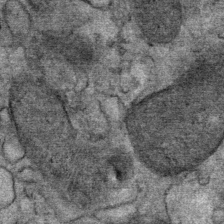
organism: Mouse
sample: Mouse Salivary gland